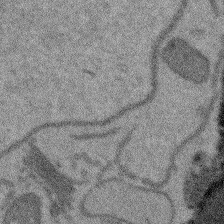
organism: Arabidopsis thaliana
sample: Root tip